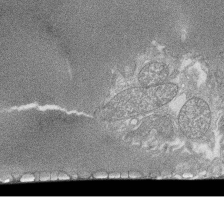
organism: Tetrahymena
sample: Cilia in tetrahymena